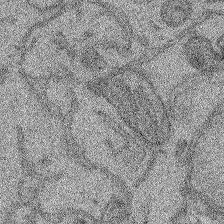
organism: Human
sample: HeLa cells